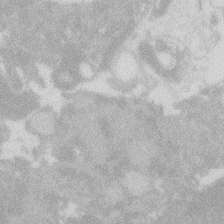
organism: Zebrafish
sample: Macrophage